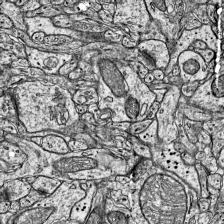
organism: Mouse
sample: Visual Cortex